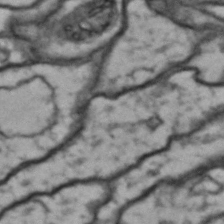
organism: Drosophila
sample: Brain